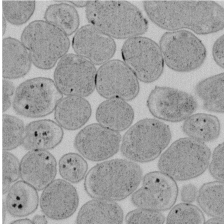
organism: E. coli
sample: Bacterial nucleoid